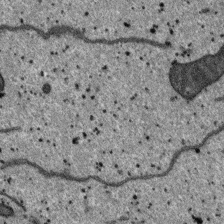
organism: Human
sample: Lung epithelial cells, uninfected (mock) control